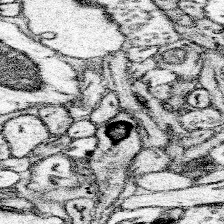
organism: Mouse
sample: Somatosensory cortex neuropil